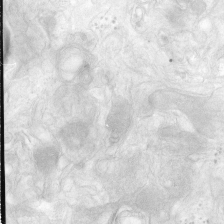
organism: Human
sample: Neocortex